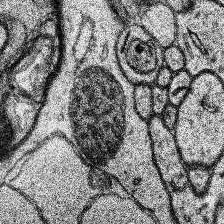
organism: Human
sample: Temporal Lobe